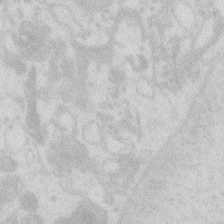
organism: Zebrafish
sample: Macrophage